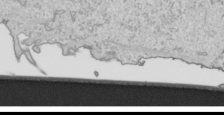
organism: Human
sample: Mitochondria in HCT116 cells